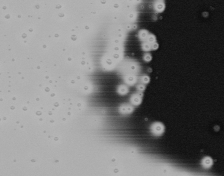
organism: Mouse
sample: Cancer cell death in ED-1 cells